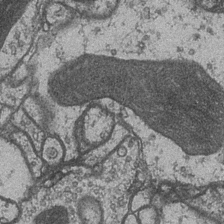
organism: Drosophila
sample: Optic medulla